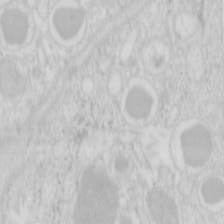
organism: Mouse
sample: Pancreas